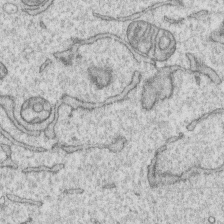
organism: Human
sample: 1205lu cells